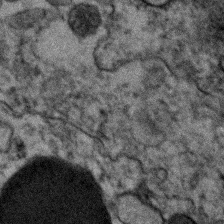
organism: Human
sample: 1205lu cells